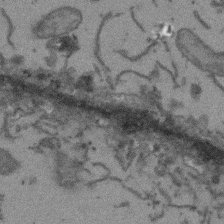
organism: Arabidopsis thaliana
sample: Root tip